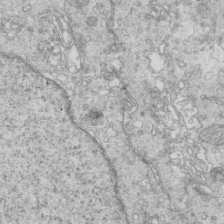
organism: Mouse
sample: Multiciliated cells